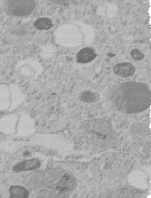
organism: C. elegans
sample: C. elegans embryo early stage